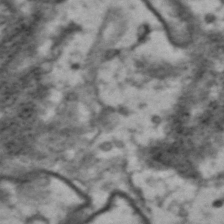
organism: Drosophila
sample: Brain